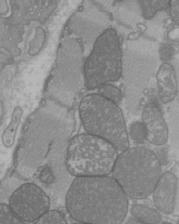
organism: C57BL Mouse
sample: Heart